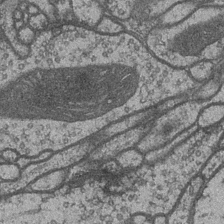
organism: Drosophila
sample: Optic medulla